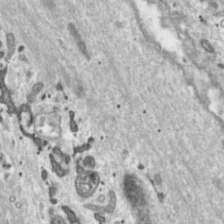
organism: Toxoplasma gondii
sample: Parasites in a vacuole inside a host cell